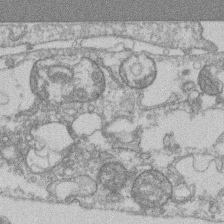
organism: Mouse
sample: T cell stromal cell synapse